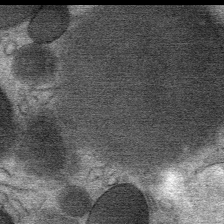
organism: Mouse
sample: Mouse Salivary gland